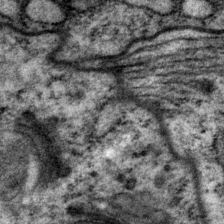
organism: P. pacificus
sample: Pharynx